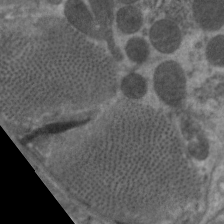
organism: C. elegans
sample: Pharynx